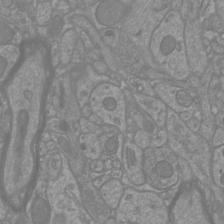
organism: Mouse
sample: Cortical neurons